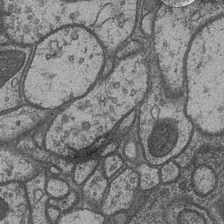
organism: Drosophila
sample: Optic medulla